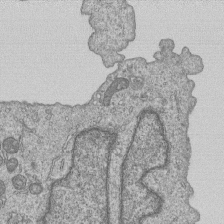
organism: Human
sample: MDA-MB-231 cells